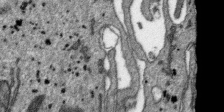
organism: Human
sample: Lung epithelial cells, uninfected (mock) control